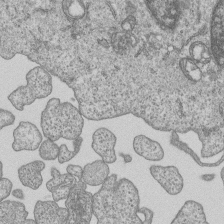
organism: Human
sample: MDA-MB-231 cells